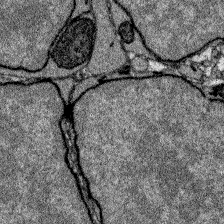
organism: Zebrafish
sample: Larval olfactory bulb